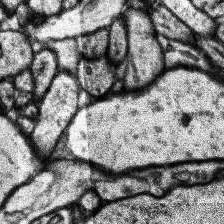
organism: Human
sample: Temporal Lobe